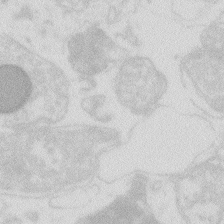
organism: Zebrafish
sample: Macrophage